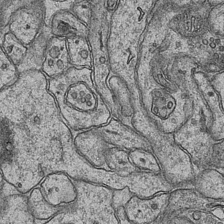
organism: Mouse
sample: CA1 Hippocampus